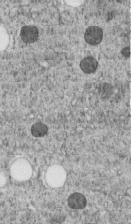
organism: C. elegans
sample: C. elegans embryo early stage